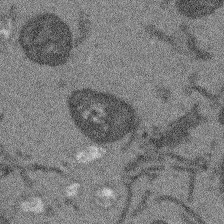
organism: Arabidopsis thaliana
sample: Root tip